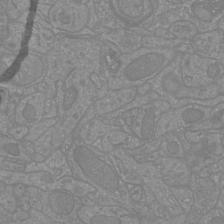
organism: Mouse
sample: Cortical neurons